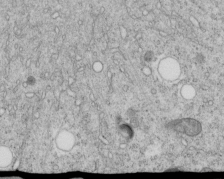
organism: C. elegans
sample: C. elegans embryo early stage